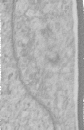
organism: Human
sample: Centriole in RPE cells